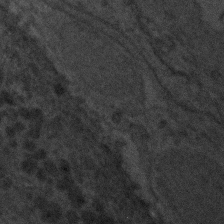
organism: Zebrafish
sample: Zebrafish embryo